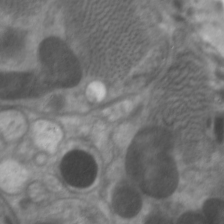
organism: C. elegans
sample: Pharynx